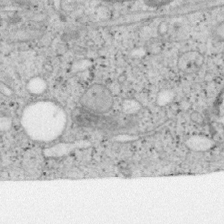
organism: Mouse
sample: OT-I killer T cells with ID8 ovarian cancer cells